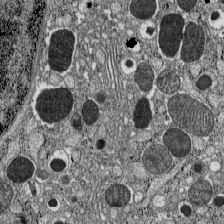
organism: C57BL Mouse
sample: Pancreatic islet